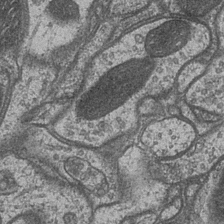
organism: Drosophila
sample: Optic medulla